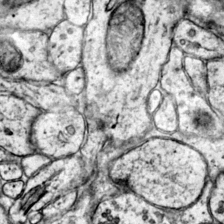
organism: Mouse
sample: Primary visual cortex